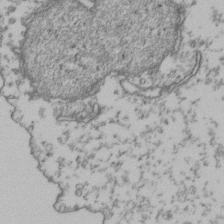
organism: Human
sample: Activated Jurkat CD4+ T cells